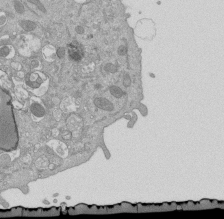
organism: Mouse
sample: ED-1 cell nuclei; centrioles